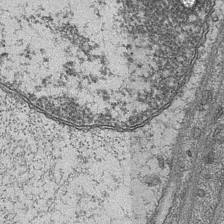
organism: Mouse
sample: CA1 Hippocampus